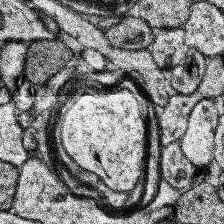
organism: Human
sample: Temporal Lobe